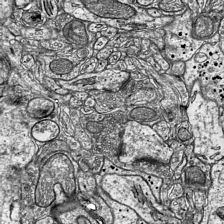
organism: Mouse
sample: Visual Cortex